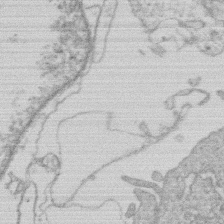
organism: Human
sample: Macrophage cells